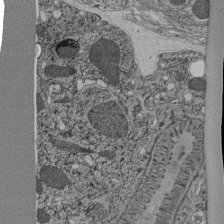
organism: C. elegans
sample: C. elegans pharynx